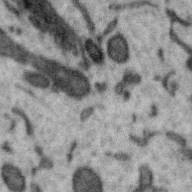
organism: Zebra finch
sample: Brain